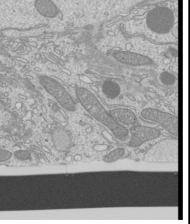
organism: Mouse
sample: Cilia; mouse epididymis